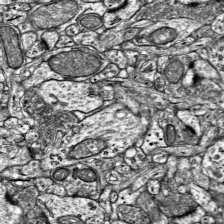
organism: Mouse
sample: Visual Cortex